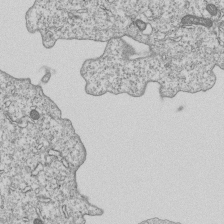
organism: Human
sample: MDA-MB-231 cells